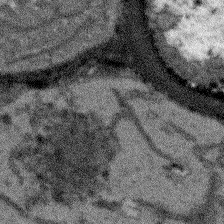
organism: Arabidopsis thaliana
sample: Root tip